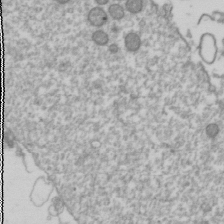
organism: Drosophila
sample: Cell division; meiosis; drosophila spermatocytes